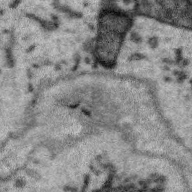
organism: Zebra finch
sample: Brain